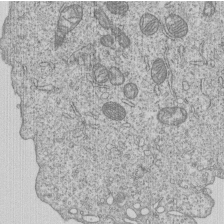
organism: Human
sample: MDA-MB-231 cells